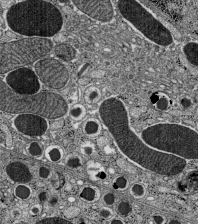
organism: C57BL Mouse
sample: Pancreatic islet